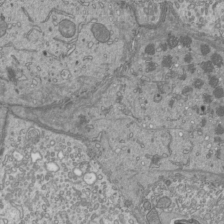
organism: Mouse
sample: Cilia; mouse epididymis